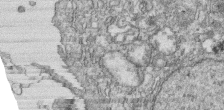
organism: Human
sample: HeLa cell HIV synapse